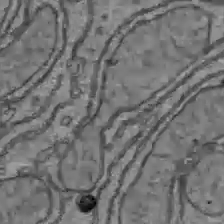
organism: C57BL Mouse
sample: Liver